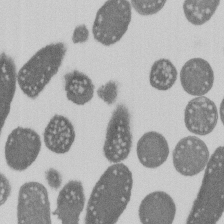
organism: E. coli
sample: Bacterial nucleoid